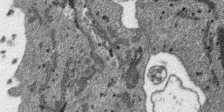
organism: Human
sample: Lung epithelial cells infected with SARS-CoV-2